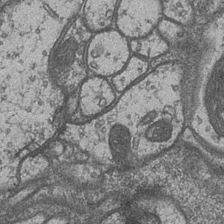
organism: Drosophila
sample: Optic medulla